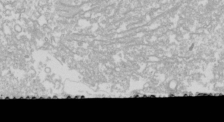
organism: Drosophila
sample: Cell division; meiosis; drosophila spermatocytes